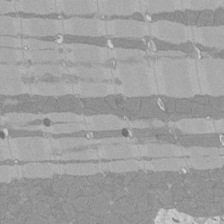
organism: Rat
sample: Left ventricle